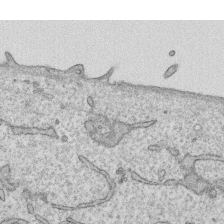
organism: Human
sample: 1205lu cells